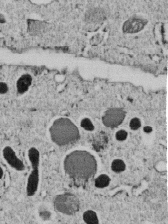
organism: C. elegans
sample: C. elegans embryo early stage